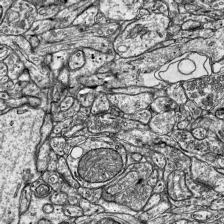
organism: Mouse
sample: Visual Cortex